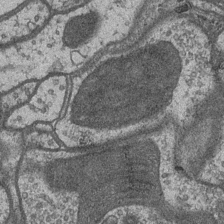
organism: Drosophila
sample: Optic medulla